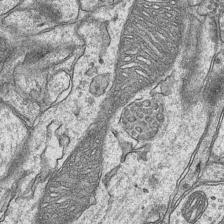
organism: Mouse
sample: CA1 Hippocampus